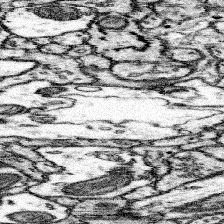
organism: Mouse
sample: Somatosensory cortex neuropil